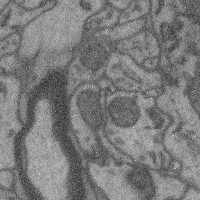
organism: Mouse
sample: Cerebral cortex